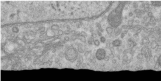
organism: Human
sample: Centriole in RPE cells